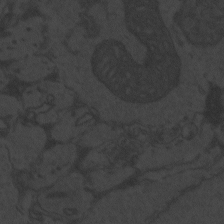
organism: Zebrafish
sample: Macrophage infected with Toxoplasma gondii